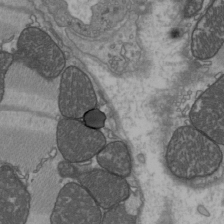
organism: C57BL Mouse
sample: Heart